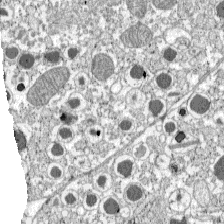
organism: C57BL Mouse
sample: Pancreatic islet